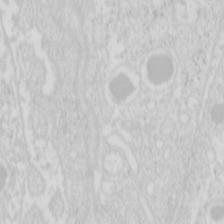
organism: Mouse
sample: Pancreas